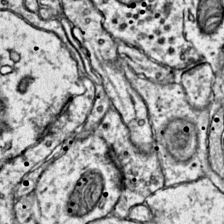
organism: Mouse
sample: Primary visual cortex